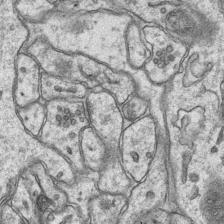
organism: Mouse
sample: CA1 Hippocampus